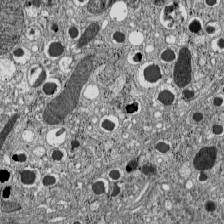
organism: C57BL Mouse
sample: Pancreatic islet